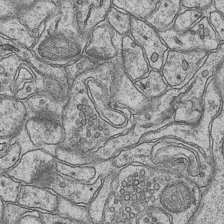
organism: Mouse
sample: CA1 Hippocampus